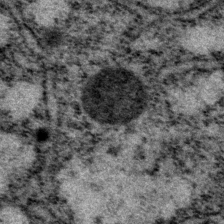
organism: P. pacificus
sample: Pharynx